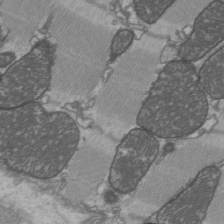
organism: C57BL Mouse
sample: Heart